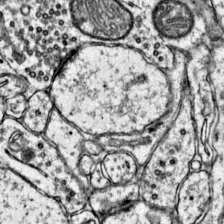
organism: Mouse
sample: Primary visual cortex